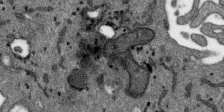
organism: Human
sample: Lung epithelial cells, uninfected (mock) control